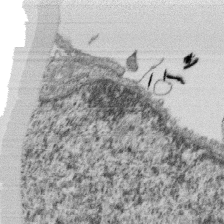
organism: African green monkey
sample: Vero E6 cells infected with SARS-CoV-2